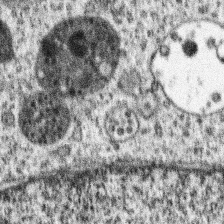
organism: Human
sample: HeLa cells